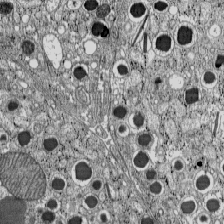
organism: C57BL Mouse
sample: Pancreatic islet